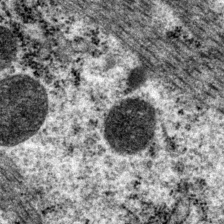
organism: P. pacificus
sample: Pharynx